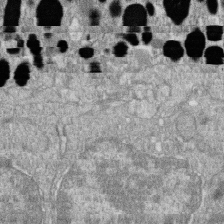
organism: Zebrafish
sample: Cilia; retinal pigment epithelium